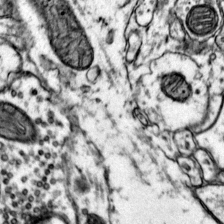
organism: Mouse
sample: Primary visual cortex